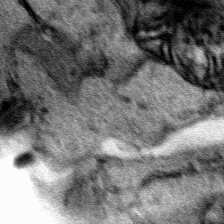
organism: Human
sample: Mitochondria in HCT116 cells